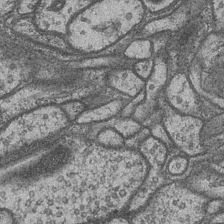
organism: Drosophila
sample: Optic medulla